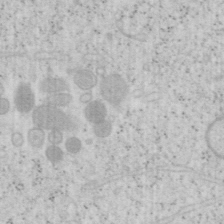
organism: Human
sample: HeLa cells